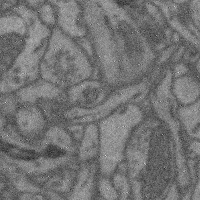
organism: Mouse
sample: Cerebral cortex